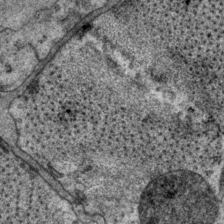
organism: P. pacificus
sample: Pharynx